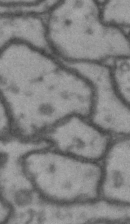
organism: Drosophila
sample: Brain